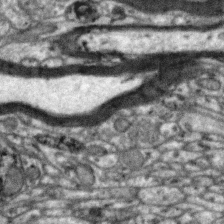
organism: Zebra finch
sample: Brain